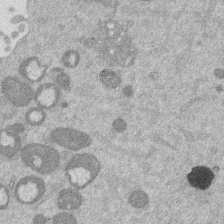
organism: Mouse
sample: Dividing mouse embryo 1 cell stage